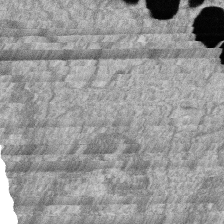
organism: Zebrafish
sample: Cilia; retinal pigment epithelium